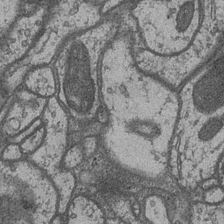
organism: Drosophila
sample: Optic medulla